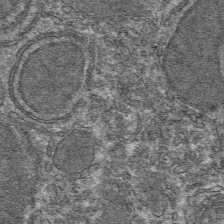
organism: Mouse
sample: Mouse hepatocytes